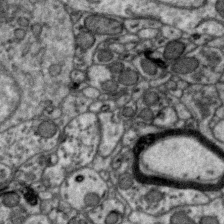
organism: Zebra finch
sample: Brain